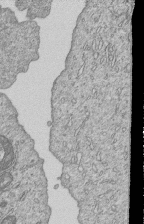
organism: Human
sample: MDA-MB-231 cells